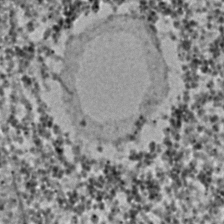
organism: C. elegans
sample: C. elegans embryo